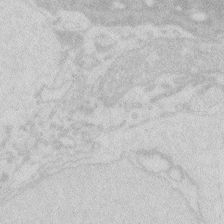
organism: Zebrafish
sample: Macrophage